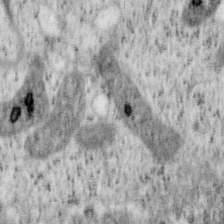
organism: Mouse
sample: OT-I killer T cells with ID8 ovarian cancer cells